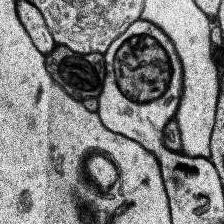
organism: Human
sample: Temporal Lobe